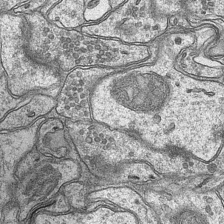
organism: Mouse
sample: CA1 Hippocampus